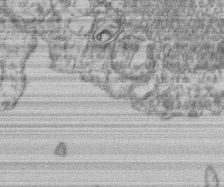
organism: Mouse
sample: T cell stromal cell synapse